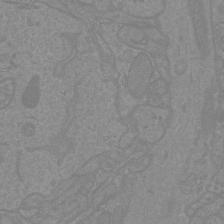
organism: Mouse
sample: Cortical neurons